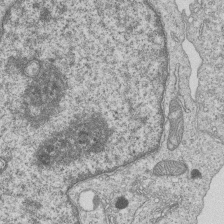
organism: Human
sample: MDA-MB-231 cells